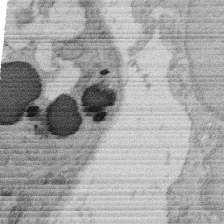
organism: Rat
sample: Salivary granule